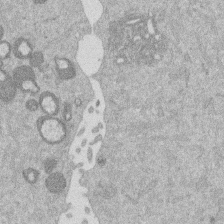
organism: Mouse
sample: Dividing mouse embryo 1 cell stage